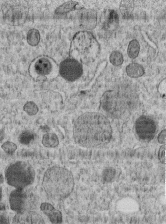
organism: C. elegans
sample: C. elegans embryo early stage